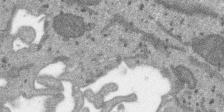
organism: Human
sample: Lung epithelial cells infected with SARS-CoV-2